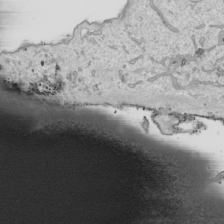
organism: Human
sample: Mitochondria in HCT116 cells